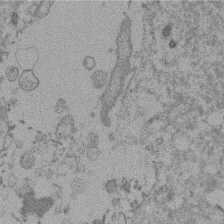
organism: Mouse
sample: Dividing mouse embryo 1 cell stage